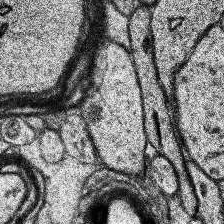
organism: Human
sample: Temporal Lobe